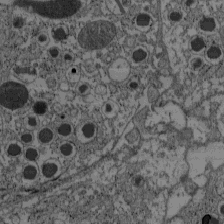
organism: C57BL Mouse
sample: Pancreatic islet